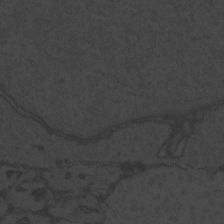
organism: Zebrafish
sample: Macrophage infected with Toxoplasma gondii